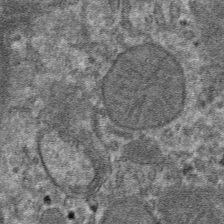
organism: Mouse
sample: Mouse hepatocytes